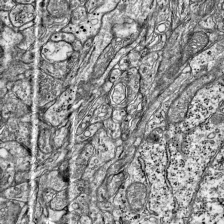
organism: Mouse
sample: Visual Cortex